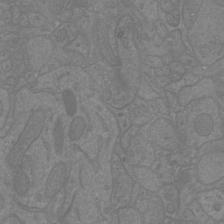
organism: Mouse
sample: Cortical neurons